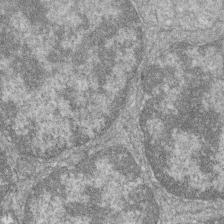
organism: Zebrafish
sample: Cilia; retinal pigment epithelium